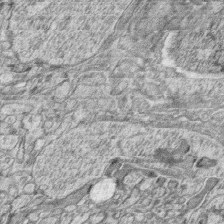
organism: Zebrafish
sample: synaptic ribbons in rod cells and cone cells